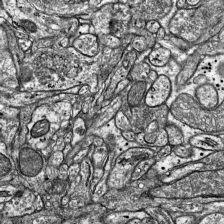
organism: Mouse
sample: Visual Cortex